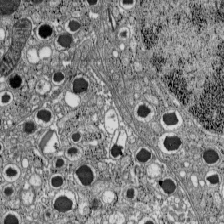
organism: C57BL Mouse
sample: Pancreatic islet